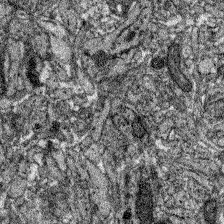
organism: Zebrafish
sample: Larval olfactory bulb